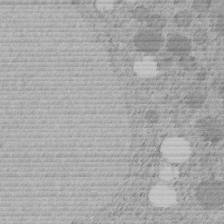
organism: C. elegans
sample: C. elegans embryo early stage